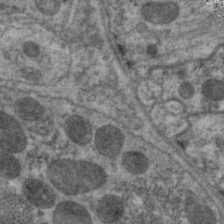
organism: C. elegans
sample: Pharynx